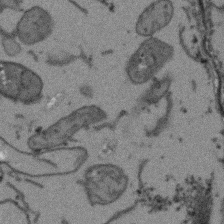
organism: Arabidopsis thaliana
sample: Root tip